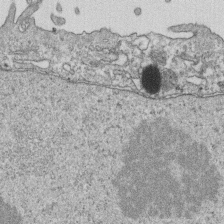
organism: Human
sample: HeLa cell HIV synapse